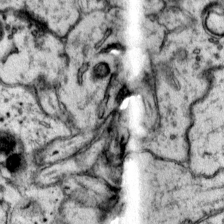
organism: Mouse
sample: Primary visual cortex